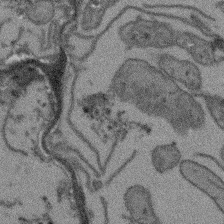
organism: Arabidopsis thaliana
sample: Root tip